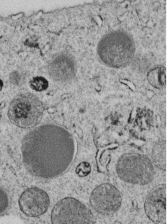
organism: C. elegans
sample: C. elegans embryo early stage